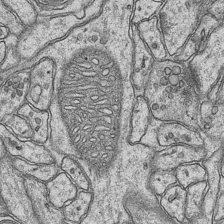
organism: Mouse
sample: CA1 Hippocampus